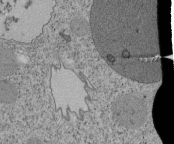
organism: Tetrahymena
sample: Cilia in tetrahymena